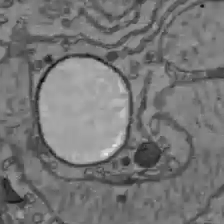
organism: C57BL Mouse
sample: Liver